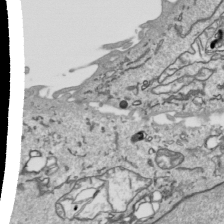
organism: Human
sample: Mitochondria in HCT116 cells